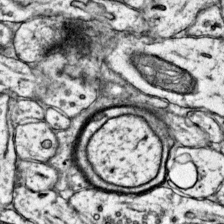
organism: Mouse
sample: Primary visual cortex